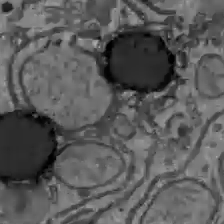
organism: C57BL Mouse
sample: Liver